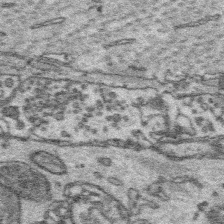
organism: Platynereis dumerilii